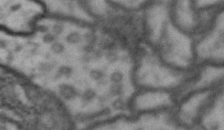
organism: Drosophila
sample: Brain